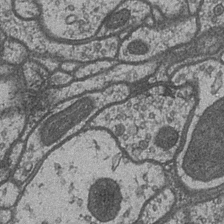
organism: Drosophila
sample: Optic medulla